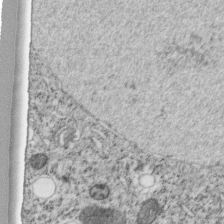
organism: C. elegans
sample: C. elegans embryo early stage